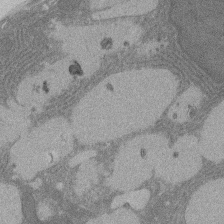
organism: Rat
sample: Salivary granule